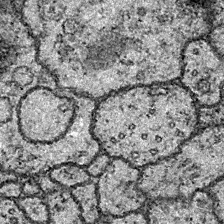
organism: Drosophila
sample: Ventral Nerve Cord